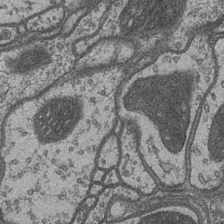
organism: Drosophila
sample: Optic medulla